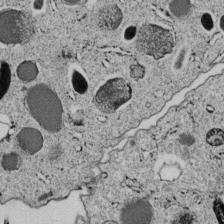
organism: C. elegans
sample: C. elegans embryo early stage